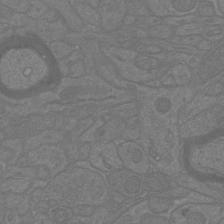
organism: Mouse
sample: Cortical neurons